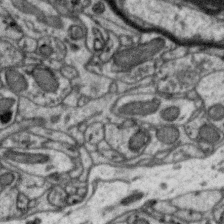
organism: Zebra finch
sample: Brain